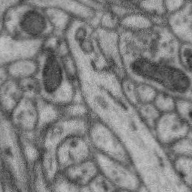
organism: Zebra finch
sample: Brain